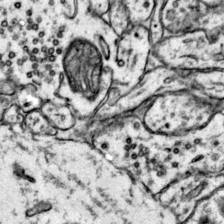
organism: Mouse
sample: Primary visual cortex